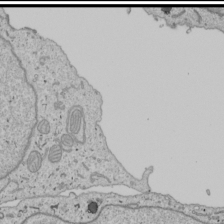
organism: Human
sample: Mitochondria in U2OS cells